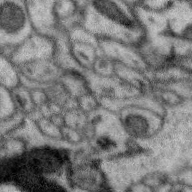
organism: Zebra finch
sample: Brain